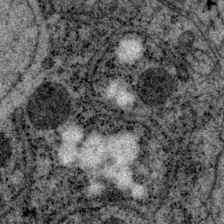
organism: P. pacificus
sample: Pharynx